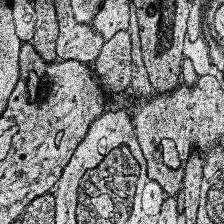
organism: Human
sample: Temporal Lobe